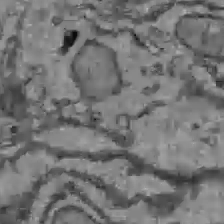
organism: C57BL Mouse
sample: Liver